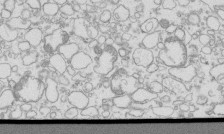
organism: Mouse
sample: Macrophages